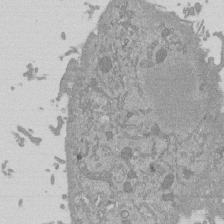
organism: Mouse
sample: ED-1 cell nuclei; centrioles